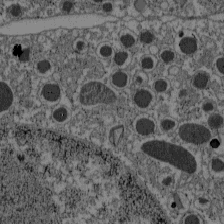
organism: C57BL Mouse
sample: Pancreatic islet